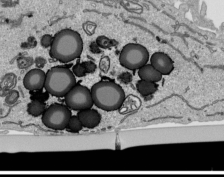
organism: Human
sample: Mitochondria in HCT116 cells